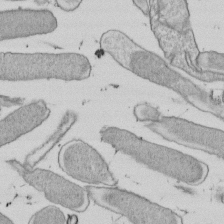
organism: E. coli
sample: Bacterial nucleoid